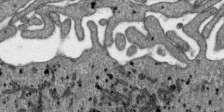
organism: Human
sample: Lung epithelial cells, uninfected (mock) control